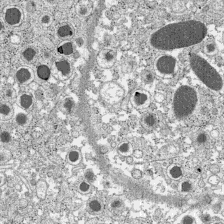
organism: C57BL Mouse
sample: Pancreatic islet